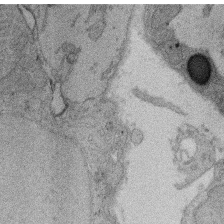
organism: Rat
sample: Salivary granule